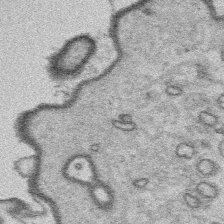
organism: Platynereis dumerilii